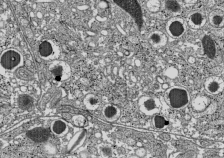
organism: C57BL Mouse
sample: Pancreatic islet